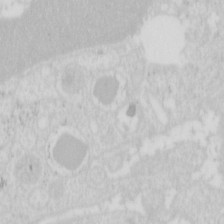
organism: Mouse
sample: Pancreas